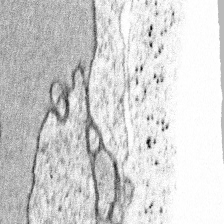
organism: Human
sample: HeLa cells